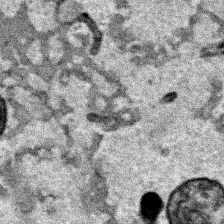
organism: Human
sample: Mitochondria in HCT116 cells